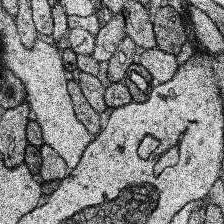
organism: Human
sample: Temporal Lobe